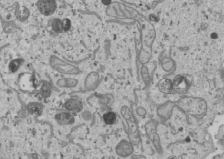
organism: Human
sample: Mitochondria in U2OS cells